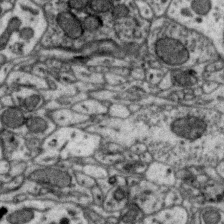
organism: Zebra finch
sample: Brain